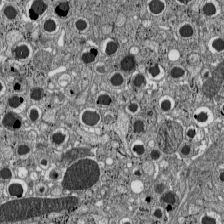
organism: C57BL Mouse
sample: Pancreatic islet